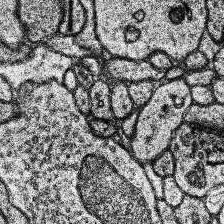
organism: Human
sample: Temporal Lobe